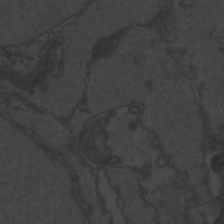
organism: Zebrafish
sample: Macrophage infected with Toxoplasma gondii